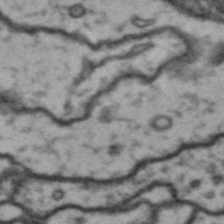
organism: Drosophila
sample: Brain